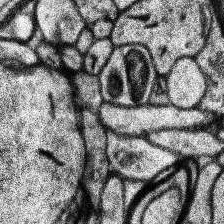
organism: Human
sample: Temporal Lobe